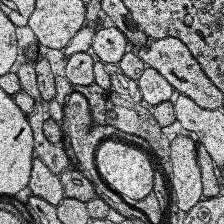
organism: Human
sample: Temporal Lobe